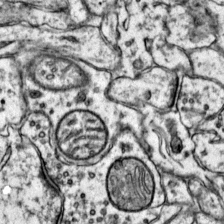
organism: Mouse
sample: Primary visual cortex